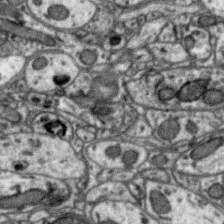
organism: Zebra finch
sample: Brain